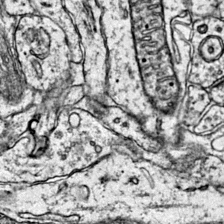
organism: Mouse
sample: Primary visual cortex